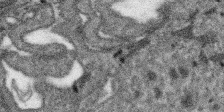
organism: Human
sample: Lung epithelial cells infected with SARS-CoV-2